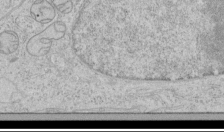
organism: Human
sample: Mitochondria in HCT116 cells